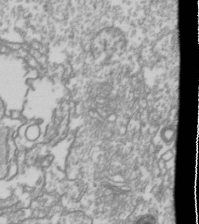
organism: Drosophila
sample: Cell division; meiosis; drosophila spermatocytes